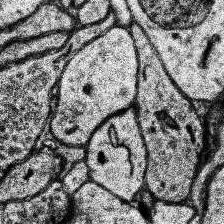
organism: Human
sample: Temporal Lobe